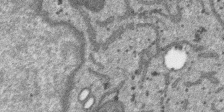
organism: Human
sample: Lung epithelial cells infected with SARS-CoV-2